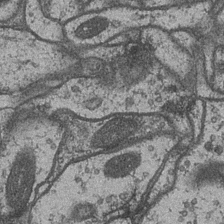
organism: Drosophila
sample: Optic medulla